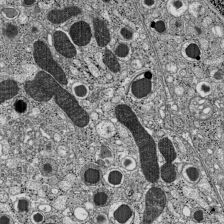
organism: C57BL Mouse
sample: Pancreatic islet